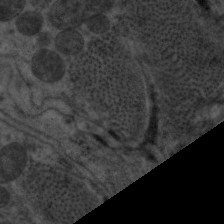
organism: C. elegans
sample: Pharynx